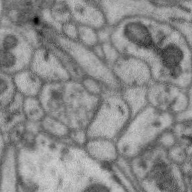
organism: Zebra finch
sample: Brain